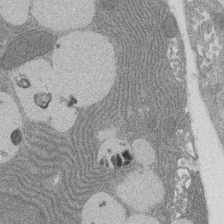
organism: Rat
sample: Salivary granule